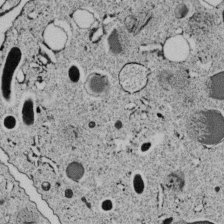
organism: C. elegans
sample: C. elegans embryo early stage